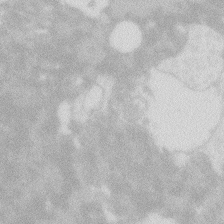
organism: Zebrafish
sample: Macrophage